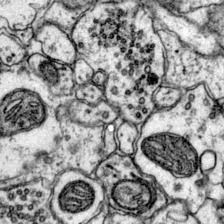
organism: Mouse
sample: Primary visual cortex